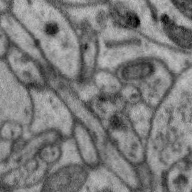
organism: Zebra finch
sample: Brain